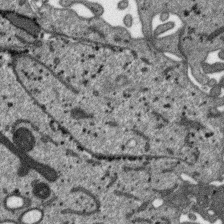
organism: Human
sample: Lung epithelial cells infected with SARS-CoV-2